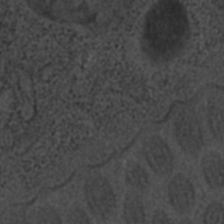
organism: C. elegans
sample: C. elegans embryo